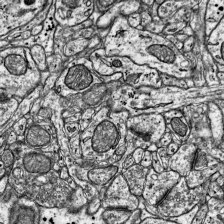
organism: Mouse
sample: Visual Cortex